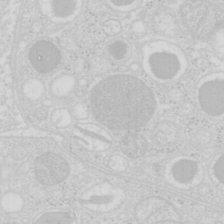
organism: Mouse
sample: Pancreas